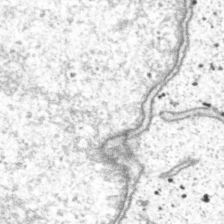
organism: Human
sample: HeLa cells